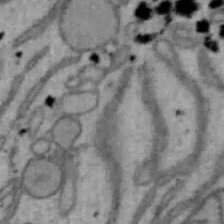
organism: Mouse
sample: Liver